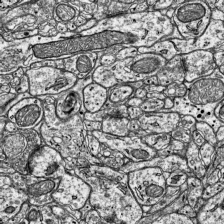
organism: Mouse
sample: Visual Cortex